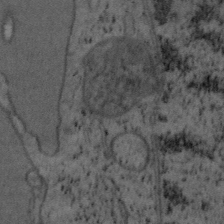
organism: Human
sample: HeLa cells